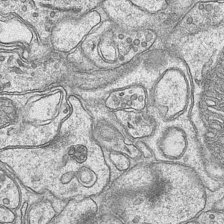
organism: Mouse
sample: CA1 Hippocampus